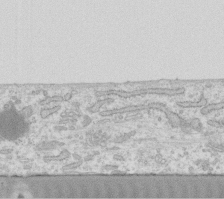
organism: Human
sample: Fibroblast cells